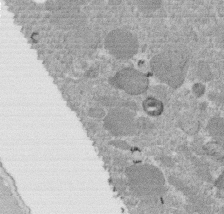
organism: C. elegans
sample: C. elegans embryo early stage